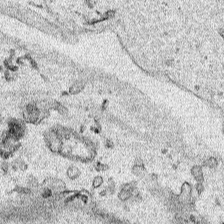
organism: Human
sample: Mitochondria in HCT116 cells